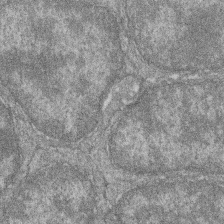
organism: Zebrafish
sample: Cilia; retinal pigment epithelium